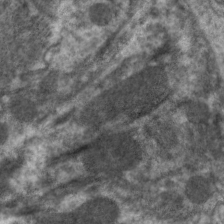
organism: C. elegans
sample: Pharynx